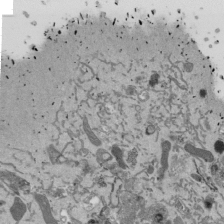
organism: Mouse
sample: ED-1 cell nuclei; centrioles